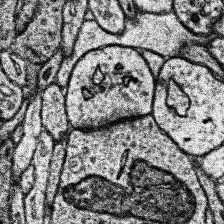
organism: Human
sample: Temporal Lobe